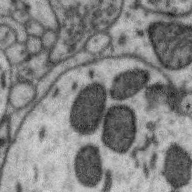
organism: Zebra finch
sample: Brain